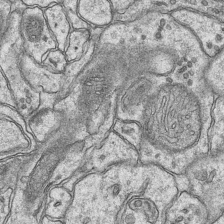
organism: Mouse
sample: CA1 Hippocampus